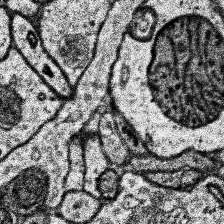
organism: Human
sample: Temporal Lobe